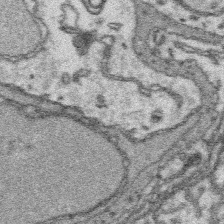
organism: Platynereis dumerilii